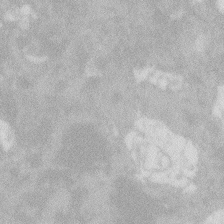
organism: Zebrafish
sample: Macrophage